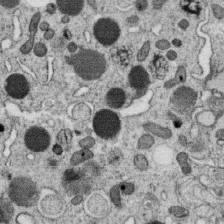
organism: C. elegans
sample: C. elegans oocyte; sperm cells